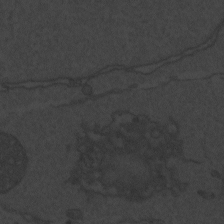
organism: Zebrafish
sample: Macrophage infected with Toxoplasma gondii